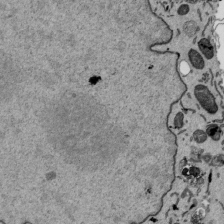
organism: Mouse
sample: ED-1 cell nuclei; centrioles